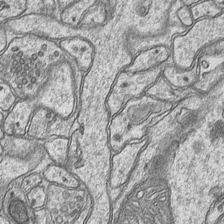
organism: Mouse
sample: CA1 Hippocampus